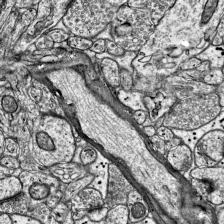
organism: Mouse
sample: Visual Cortex